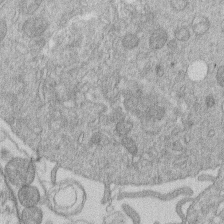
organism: Human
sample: Macrophage cells